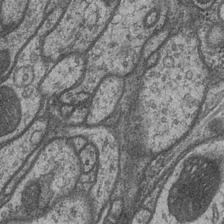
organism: Drosophila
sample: Optic medulla